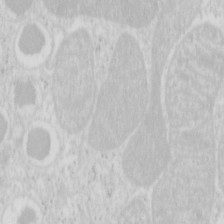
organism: Mouse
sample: Pancreas